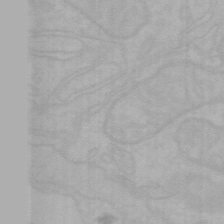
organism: Mouse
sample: Choroid plexus